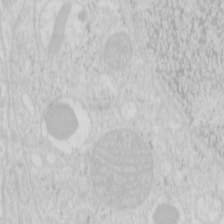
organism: Mouse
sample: Pancreas